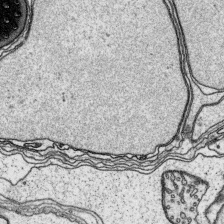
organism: Platynereis dumerilii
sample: Parapodia